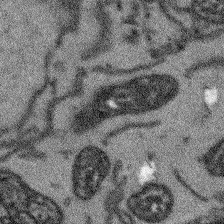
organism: Arabidopsis thaliana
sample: Root tip